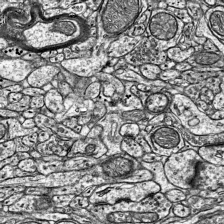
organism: Mouse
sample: Visual Cortex